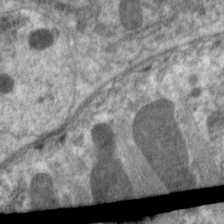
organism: C. elegans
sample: Pharynx